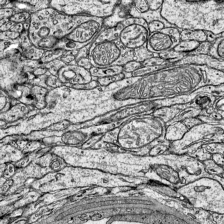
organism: Mouse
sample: Visual Cortex